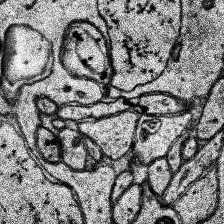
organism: Human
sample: Temporal Lobe